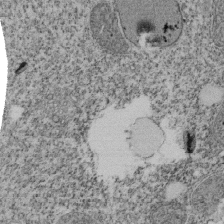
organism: Tetrahymena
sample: Cilia in tetrahymena